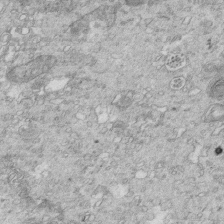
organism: Mouse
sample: Multiciliated cells